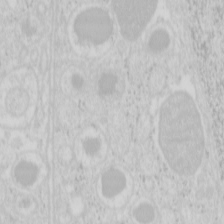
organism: Mouse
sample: Pancreas